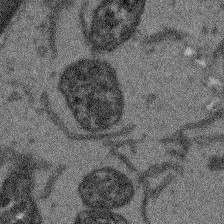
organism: Arabidopsis thaliana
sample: Root tip